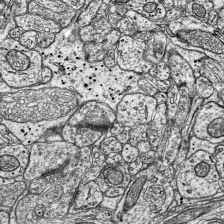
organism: Mouse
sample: Visual Cortex